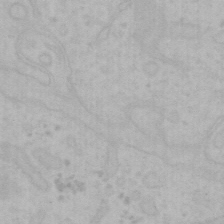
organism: Mouse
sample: Choroid plexus